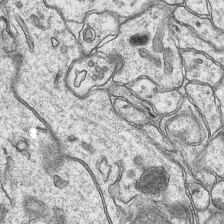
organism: Mouse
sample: CA1 Hippocampus